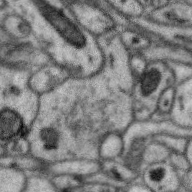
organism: Zebra finch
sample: Brain